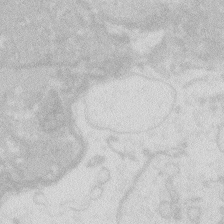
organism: Zebrafish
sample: Macrophage